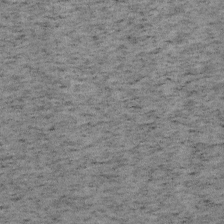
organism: Mouse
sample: OT-I killer T cells with ID8 ovarian cancer cells